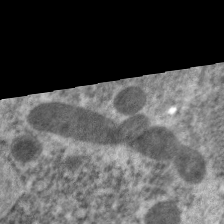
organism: C. elegans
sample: Pharynx